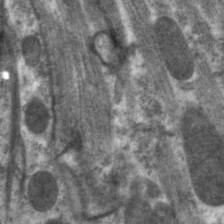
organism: C. elegans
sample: Pharynx